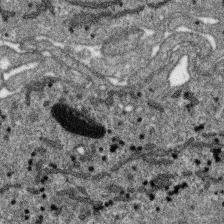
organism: Human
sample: Lung epithelial cells infected with SARS-CoV-2